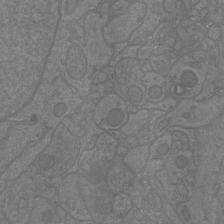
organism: Mouse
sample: Cortical neurons